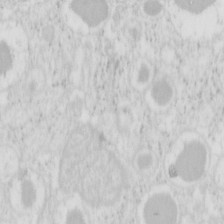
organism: Mouse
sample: Pancreas